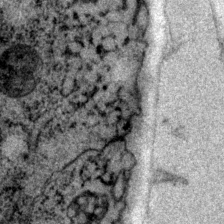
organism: P. pacificus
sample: Pharynx